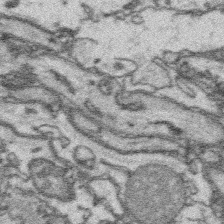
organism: Platynereis dumerilii